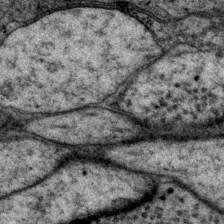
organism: P. pacificus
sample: Pharynx